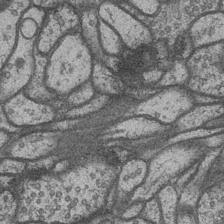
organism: Drosophila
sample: Optic medulla